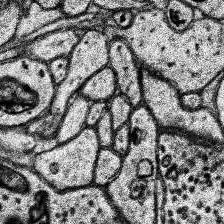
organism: Human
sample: Temporal Lobe